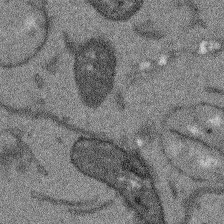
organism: Arabidopsis thaliana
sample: Root tip